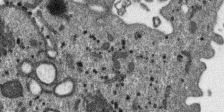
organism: Human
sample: Lung epithelial cells infected with SARS-CoV-2